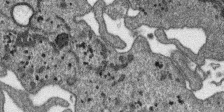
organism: Human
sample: Lung epithelial cells infected with SARS-CoV-2